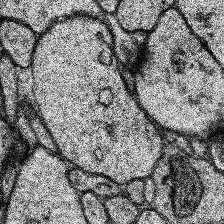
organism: Human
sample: Temporal Lobe